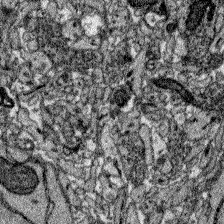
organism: Zebrafish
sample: Larval olfactory bulb